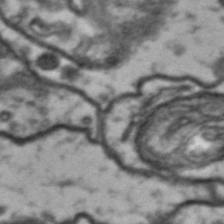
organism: Drosophila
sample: Brain